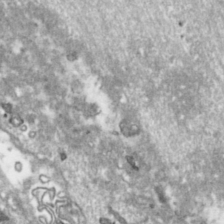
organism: Toxoplasma gondii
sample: Parasites in a vacuole inside a host cell